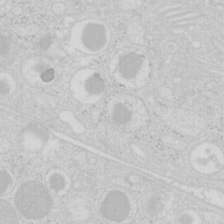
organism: Mouse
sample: Pancreas